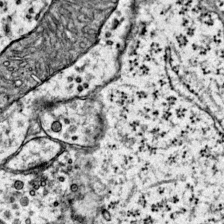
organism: Mouse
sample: Primary visual cortex